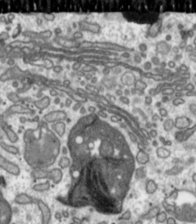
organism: Toxoplasma gondii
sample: Parasites in a vacuole inside a host cell